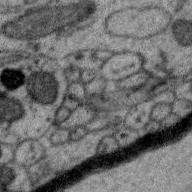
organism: Zebra finch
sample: Brain